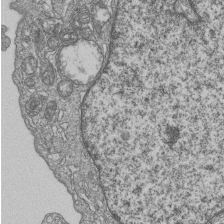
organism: Human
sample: MDA-MB-231 cells